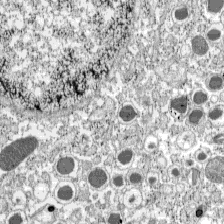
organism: C57BL Mouse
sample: Pancreatic islet